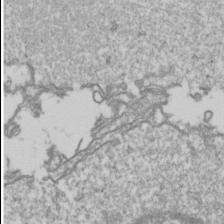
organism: Drosophila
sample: Cell division; meiosis; drosophila spermatocytes